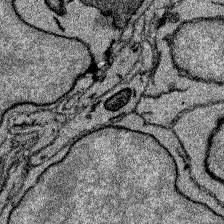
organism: Zebrafish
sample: Larval olfactory bulb